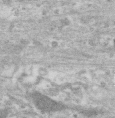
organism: Human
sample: Centriole in RPE cells